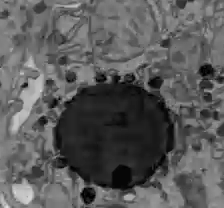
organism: C57BL Mouse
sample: Liver